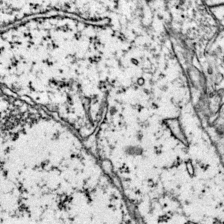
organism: Mouse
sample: Primary visual cortex